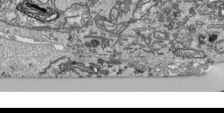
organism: Human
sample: Mitochondria in HCT116 cells